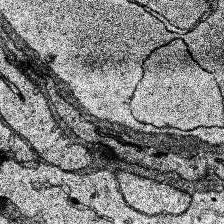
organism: Human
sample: Temporal Lobe